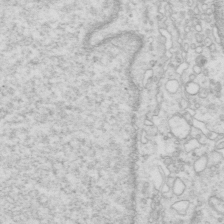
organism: Mouse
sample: Multiciliated cells